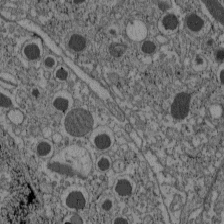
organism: C57BL Mouse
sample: Pancreatic islet